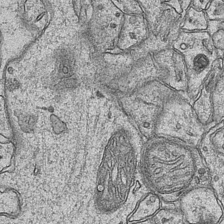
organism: Mouse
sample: CA1 Hippocampus